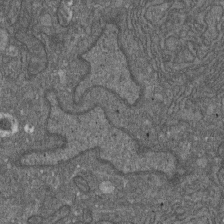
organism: Drosophila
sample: Nephrocyte